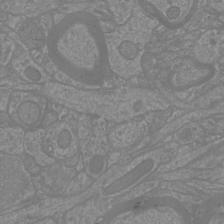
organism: Mouse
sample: Cortical neurons